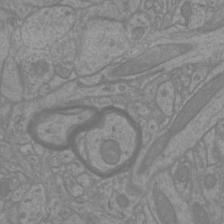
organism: Mouse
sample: Cortical neurons